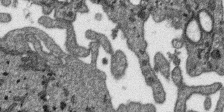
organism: Human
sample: Lung epithelial cells infected with SARS-CoV-2